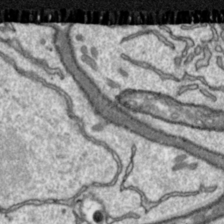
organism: Toxoplasma gondii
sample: Parasites in a vacuole inside a host cell